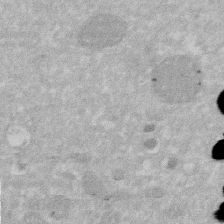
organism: Human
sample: HIV infected U937 cells